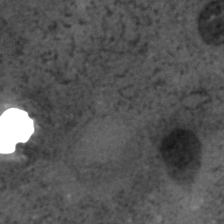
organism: C. elegans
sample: C. elegans embryo